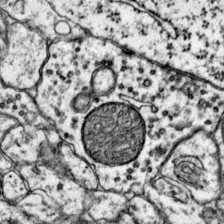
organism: Mouse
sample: Primary visual cortex